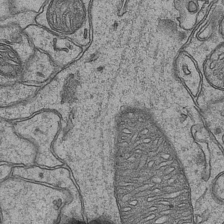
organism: Mouse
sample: CA1 Hippocampus